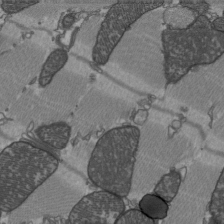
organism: C57BL Mouse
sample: Heart